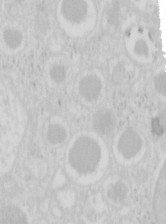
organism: Mouse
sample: Pancreas